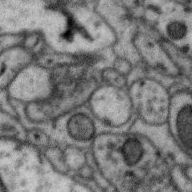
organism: Zebra finch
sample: Brain